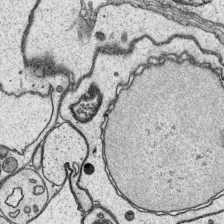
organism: Platynereis dumerilii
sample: Parapodia